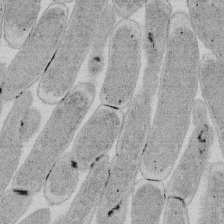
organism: E. coli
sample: Bacterial nucleoid